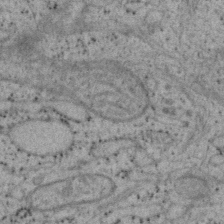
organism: Human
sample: HeLa cells